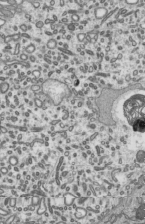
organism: Mouse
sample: Mouse epididymis efferent ductule cilia